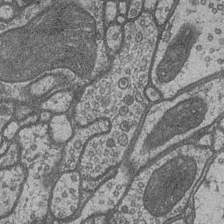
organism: Drosophila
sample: Optic medulla